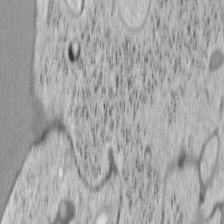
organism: Human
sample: HeLa cells